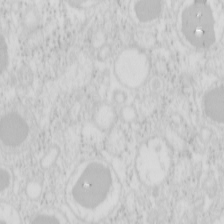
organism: Mouse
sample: Pancreas